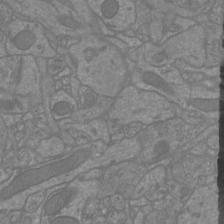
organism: Mouse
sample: Cortical neurons